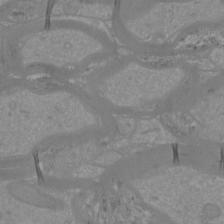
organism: Mouse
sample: Cortical neurons